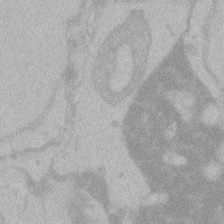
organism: Zebrafish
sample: Macrophage infected with Toxoplasma gondii